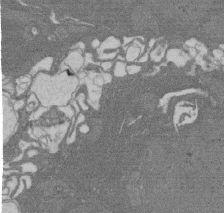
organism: Rat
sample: Salivary granule